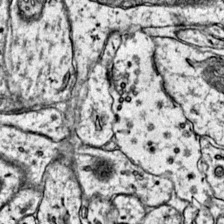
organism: Mouse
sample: Primary visual cortex